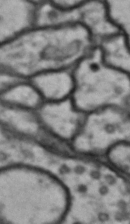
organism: Drosophila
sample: Brain